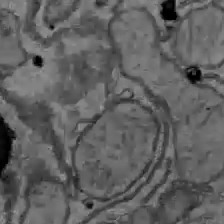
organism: C57BL Mouse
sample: Liver